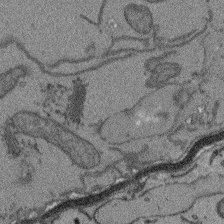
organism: Arabidopsis thaliana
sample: Root tip